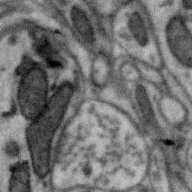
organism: Zebra finch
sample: Brain